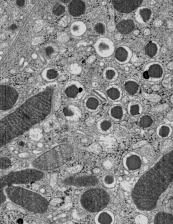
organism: C57BL Mouse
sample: Pancreatic islet